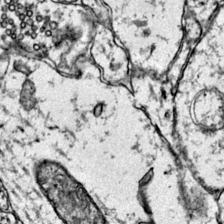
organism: Mouse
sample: Primary visual cortex